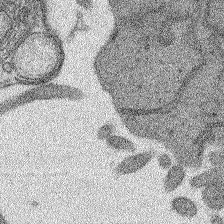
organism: Human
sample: HeLa cells